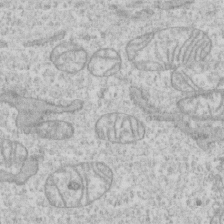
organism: Human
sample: CRL-1474